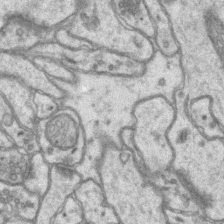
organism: Mouse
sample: CA1 Hippocampus